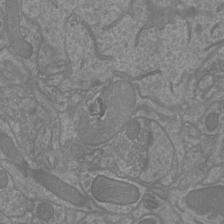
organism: Mouse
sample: Cortical neurons